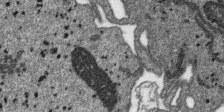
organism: Human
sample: Lung epithelial cells infected with SARS-CoV-2